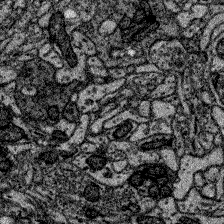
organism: Zebrafish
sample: Larval olfactory bulb